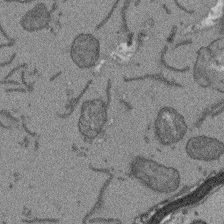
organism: Arabidopsis thaliana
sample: Root tip